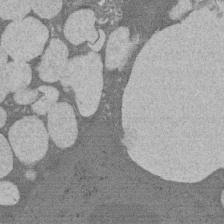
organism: Rat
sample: Salivary granule